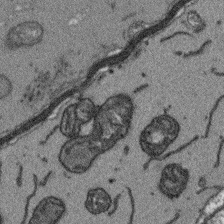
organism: Arabidopsis thaliana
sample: Root tip